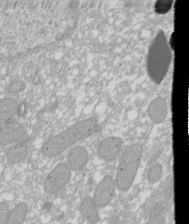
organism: Xenopus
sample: Cilia; centrioles in frog embryo cells